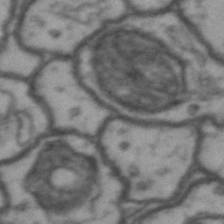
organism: Drosophila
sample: Brain